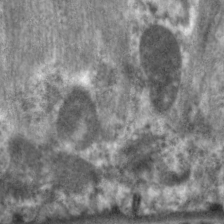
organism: C. elegans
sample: Pharynx